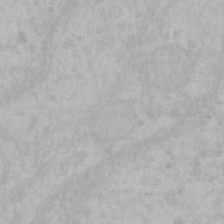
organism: Mouse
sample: Choroid plexus